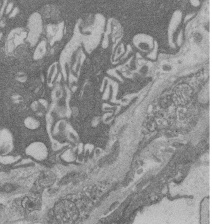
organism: Rat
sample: Salivary granule